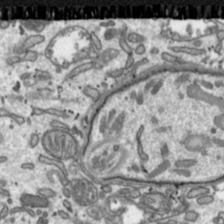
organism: Toxoplasma gondii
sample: Parasites in a vacuole inside a host cell